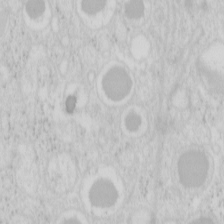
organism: Mouse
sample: Pancreas